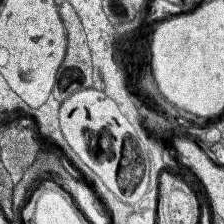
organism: Human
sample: Temporal Lobe